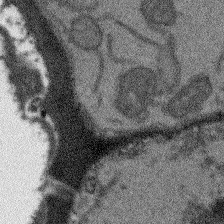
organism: Arabidopsis thaliana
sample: Root tip